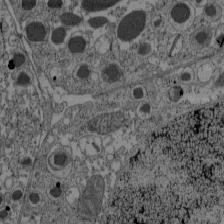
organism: C57BL Mouse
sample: Pancreatic islet